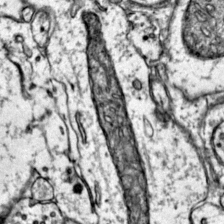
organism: Mouse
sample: Primary visual cortex